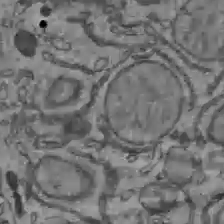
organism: C57BL Mouse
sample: Liver